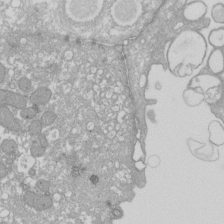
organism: Xenopus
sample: Cilia; centrioles in frog embryo cells